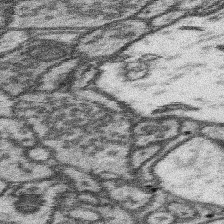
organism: Mouse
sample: Somatosensory cortex neuropil